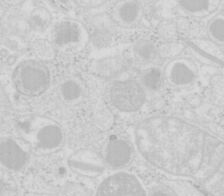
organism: Mouse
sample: Pancreas